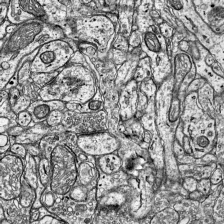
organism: Mouse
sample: Visual Cortex